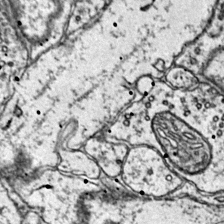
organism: Mouse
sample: Primary visual cortex